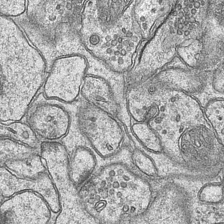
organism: Mouse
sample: CA1 Hippocampus